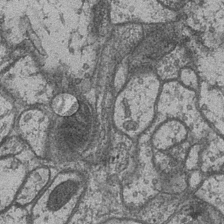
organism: Drosophila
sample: Optic medulla